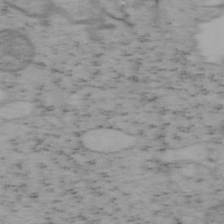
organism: Mouse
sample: OT-I killer T cells with ID8 ovarian cancer cells